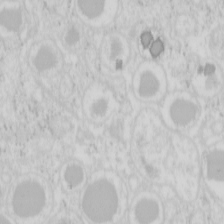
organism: Mouse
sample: Pancreas